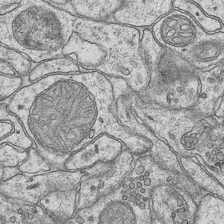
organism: Mouse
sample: CA1 Hippocampus